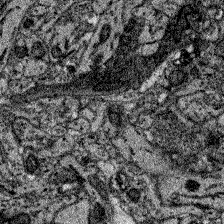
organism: Zebrafish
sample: Larval olfactory bulb